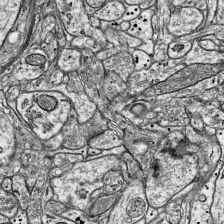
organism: Mouse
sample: Visual Cortex